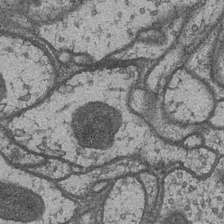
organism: Drosophila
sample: Optic medulla